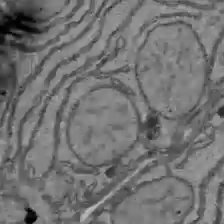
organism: C57BL Mouse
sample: Liver